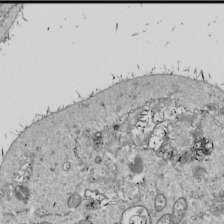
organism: Drosophila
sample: Cell division; meiosis; drosophila spermatocytes